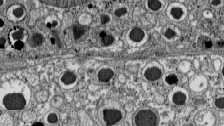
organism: C57BL Mouse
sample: Pancreatic islet